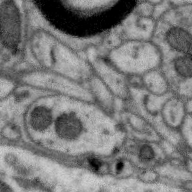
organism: Zebra finch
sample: Brain